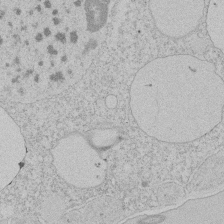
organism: Tetrahymena